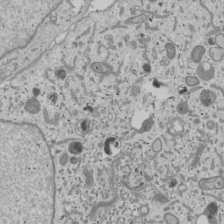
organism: Human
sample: Mitochondria in U2OS cells